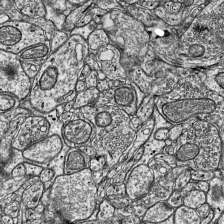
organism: Mouse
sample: Visual Cortex